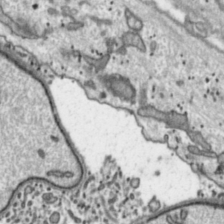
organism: Toxoplasma gondii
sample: Parasites in a vacuole inside a host cell